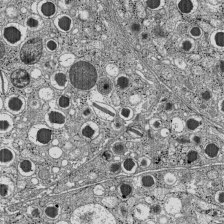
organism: C57BL Mouse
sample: Pancreatic islet